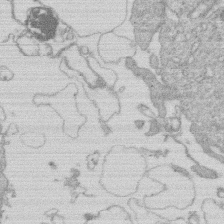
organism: Human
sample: Macrophage cells